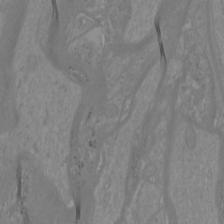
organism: Mouse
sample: Cortical neurons